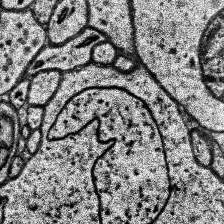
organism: Human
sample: Temporal Lobe